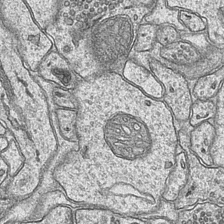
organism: Mouse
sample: CA1 Hippocampus